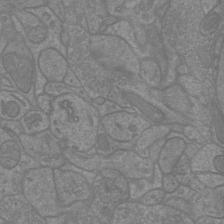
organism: Mouse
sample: Cortical neurons